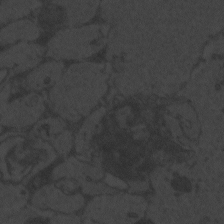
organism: Zebrafish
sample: Macrophage infected with Toxoplasma gondii